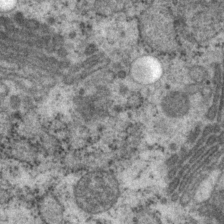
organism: P. pacificus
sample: Pharynx